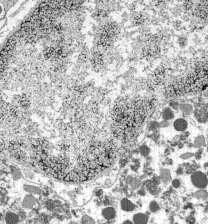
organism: C57BL Mouse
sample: Pancreatic islet